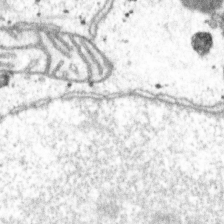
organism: Human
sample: HeLa cells